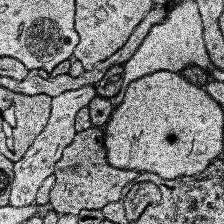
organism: Human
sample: Temporal Lobe